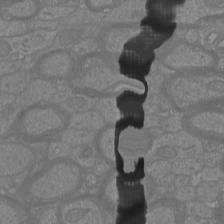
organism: Mouse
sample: Cortical neurons